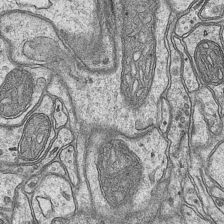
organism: Mouse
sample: CA1 Hippocampus